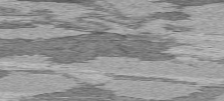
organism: C57BL Mouse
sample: Heart